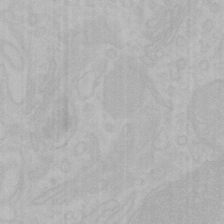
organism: Mouse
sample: Choroid plexus